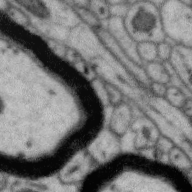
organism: Zebra finch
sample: Brain